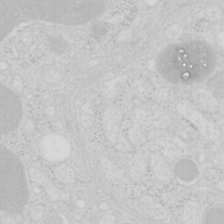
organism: Mouse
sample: Pancreas